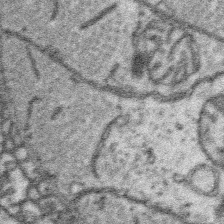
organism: Platynereis dumerilii